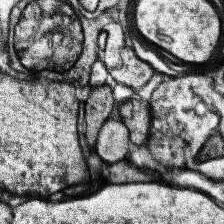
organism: Human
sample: Temporal Lobe